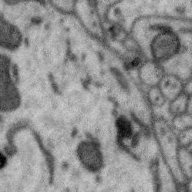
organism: Zebra finch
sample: Brain